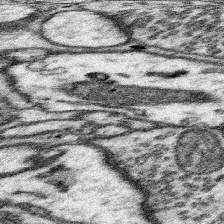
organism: Mouse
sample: Somatosensory cortex neuropil